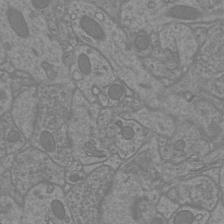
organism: Mouse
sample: Cortical neurons